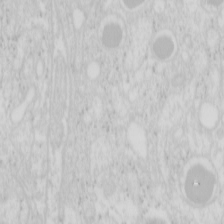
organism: Mouse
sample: Pancreas